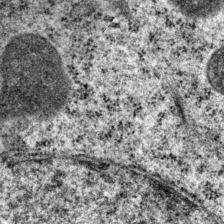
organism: P. pacificus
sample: Pharynx